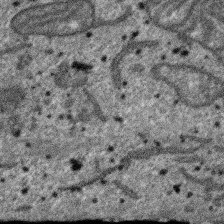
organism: Human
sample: Lung epithelial cells infected with SARS-CoV-2